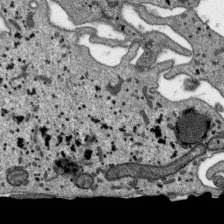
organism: Human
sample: Lung epithelial cells, uninfected (mock) control